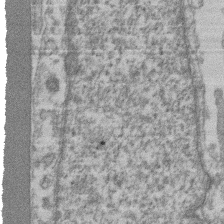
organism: Mouse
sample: T cell stromal cell synapse